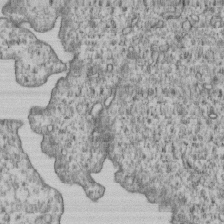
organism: Human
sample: MDA-MB-231 cells